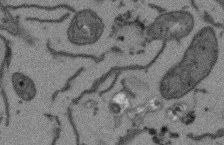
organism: Arabidopsis thaliana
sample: Root tip